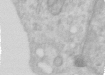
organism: Human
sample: Centriole in RPE cells